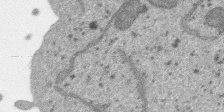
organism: Human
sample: Lung epithelial cells infected with SARS-CoV-2